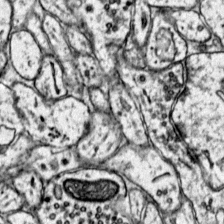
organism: Mouse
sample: Primary visual cortex